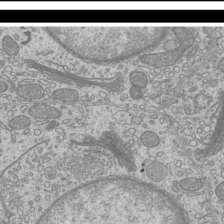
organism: Mouse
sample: Cilia; mouse epididymis